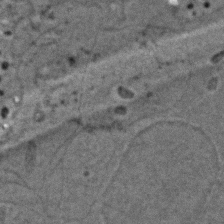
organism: Zebrafish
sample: Zebrafish embryo